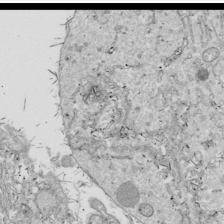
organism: Drosophila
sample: Cell division; meiosis; drosophila spermatocytes